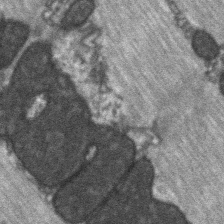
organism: C57BL Mouse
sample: Soleus